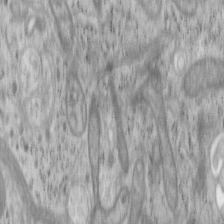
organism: Human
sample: HeLa cells